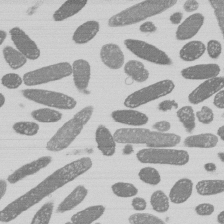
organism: E. coli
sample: Bacterial nucleoid